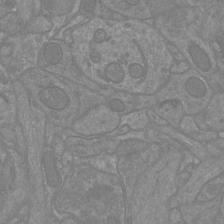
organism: Mouse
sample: Cortical neurons